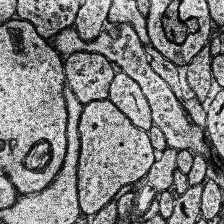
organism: Human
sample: Temporal Lobe